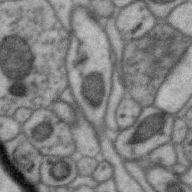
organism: Zebra finch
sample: Brain